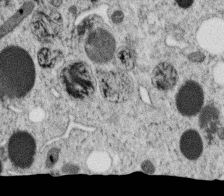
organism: C. elegans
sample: C. elegans oocyte; sperm cells